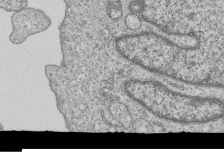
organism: Human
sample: MDA-MB-231 cells